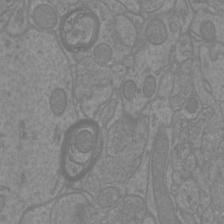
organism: Mouse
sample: Cortical neurons